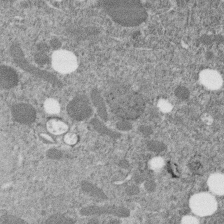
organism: C. elegans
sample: C. elegans embryo early stage